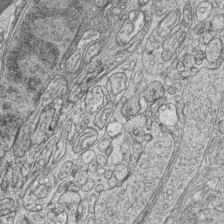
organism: Zebrafish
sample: synaptic ribbons in rod cells and cone cells